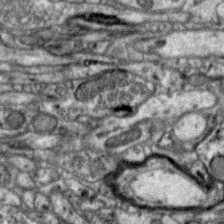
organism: Zebra finch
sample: Brain